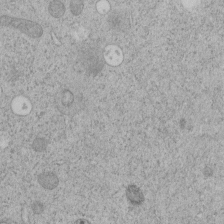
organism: C. elegans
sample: C. elegans embryo early stage